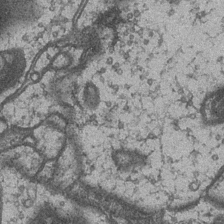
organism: Drosophila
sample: Optic medulla